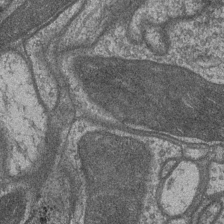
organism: Drosophila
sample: Optic medulla